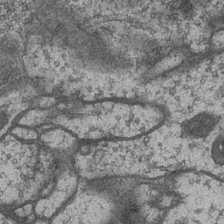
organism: Drosophila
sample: Optic medulla